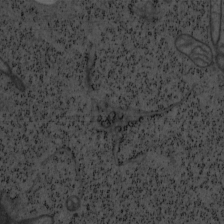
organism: Mouse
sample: OT-I killer T cells with ID8 ovarian cancer cells